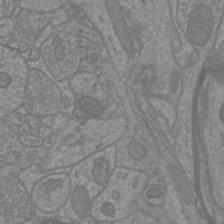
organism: Mouse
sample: Cortical neurons